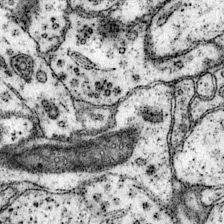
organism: Mouse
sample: Primary visual cortex